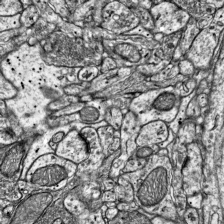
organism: Mouse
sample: Visual Cortex